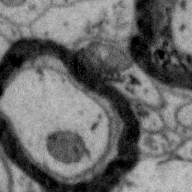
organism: Zebra finch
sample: Brain